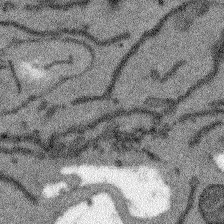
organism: Arabidopsis thaliana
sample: Root tip